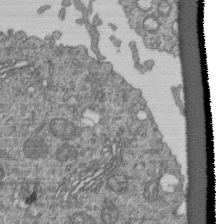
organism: Human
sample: Retinal organoid Rod and Cone cells